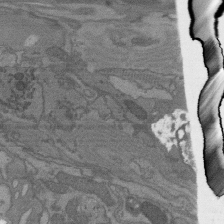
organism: C. elegans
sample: AFD neurons C. elegans